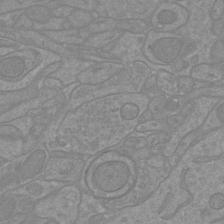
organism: Mouse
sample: Cortical neurons